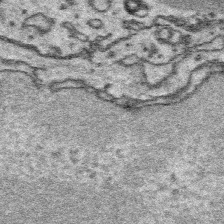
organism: Platynereis dumerilii